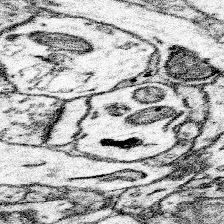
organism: Mouse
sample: Somatosensory cortex neuropil